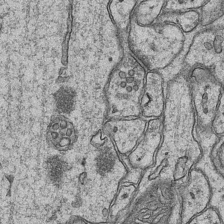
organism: Mouse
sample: CA1 Hippocampus